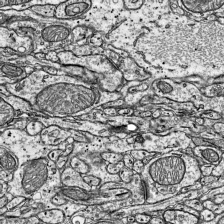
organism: Mouse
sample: Visual Cortex